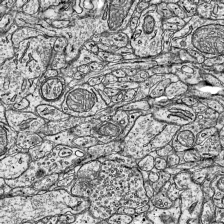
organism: Mouse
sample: Visual Cortex